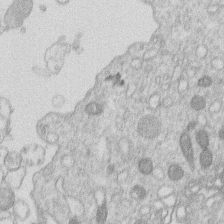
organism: Human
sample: Macrophage cells